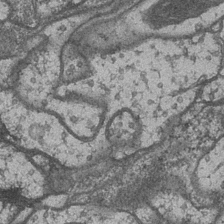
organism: Drosophila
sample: Optic medulla